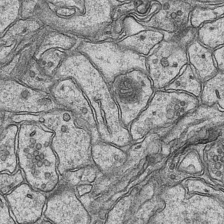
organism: Mouse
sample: CA1 Hippocampus